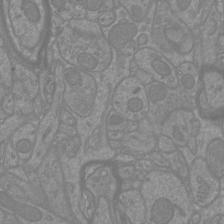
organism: Mouse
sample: Cortical neurons